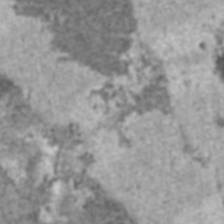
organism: C57BL Mouse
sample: Heart